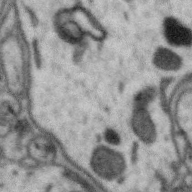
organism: Zebra finch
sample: Brain